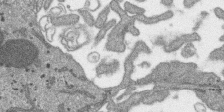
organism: Human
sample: Lung epithelial cells infected with SARS-CoV-2